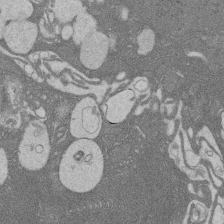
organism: Rat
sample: Salivary granule